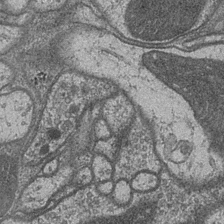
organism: Drosophila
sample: Optic medulla